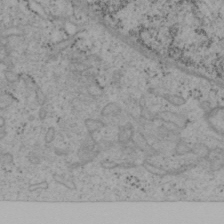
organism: Human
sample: HeLa cells